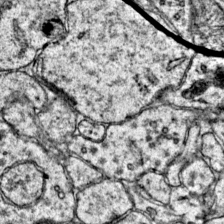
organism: Mouse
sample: Primary visual cortex